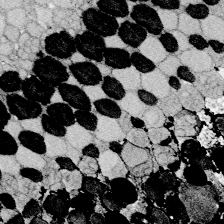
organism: Zebrafish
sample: Whole-Brain